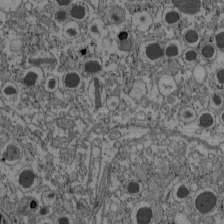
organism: C57BL Mouse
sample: Pancreatic islet